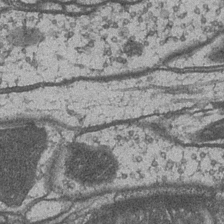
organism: Drosophila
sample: Optic medulla